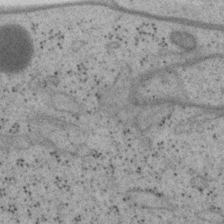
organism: Human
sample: HeLa cells